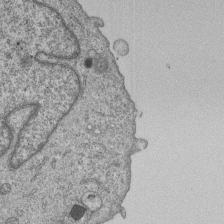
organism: Human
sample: MDA-MB-231 cells